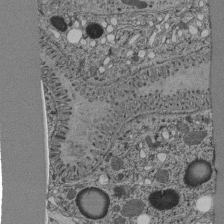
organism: C. elegans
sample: C. elegans pharynx